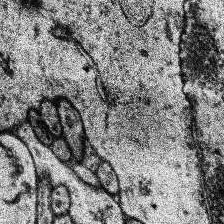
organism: Human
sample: Temporal Lobe